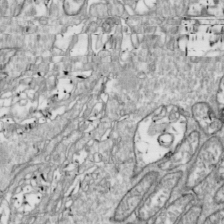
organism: Drosophila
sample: Cell division; meiosis; drosophila spermatocytes